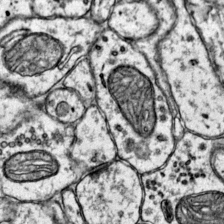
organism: Mouse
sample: Primary visual cortex